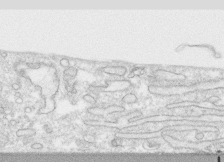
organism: Human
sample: CRL-1474